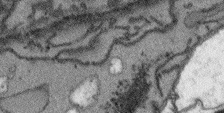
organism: Arabidopsis thaliana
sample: Root tip